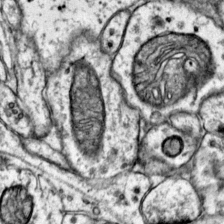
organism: Mouse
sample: Primary visual cortex